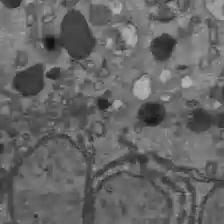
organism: C57BL Mouse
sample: Liver